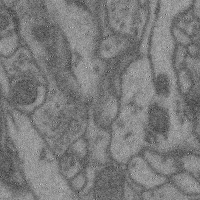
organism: Mouse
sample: Cerebral cortex